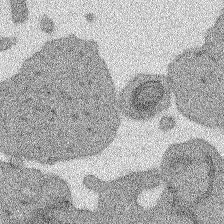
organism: Human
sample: HeLa cells